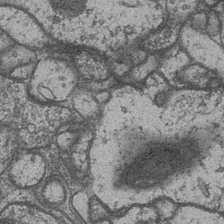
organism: Drosophila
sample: Optic medulla